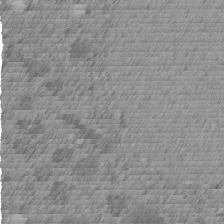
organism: C. elegans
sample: C. elegans embryo early stage